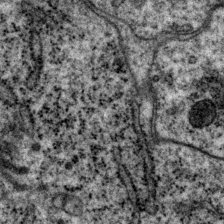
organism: P. pacificus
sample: Pharynx